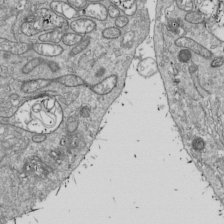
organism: Drosophila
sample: Cell division; meiosis; drosophila spermatocytes